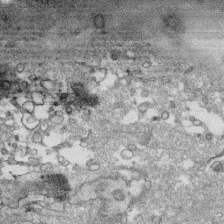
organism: Human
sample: CRL-1474